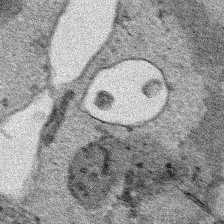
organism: Human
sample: Mitochondria in HCT116 cells